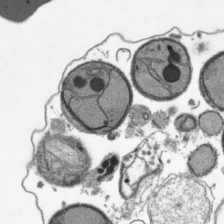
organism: Plasmodium falciparum